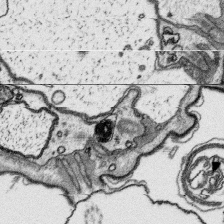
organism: Platynereis dumerilii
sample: Parapodia